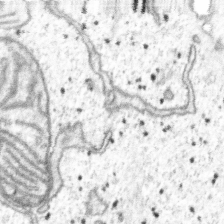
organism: Human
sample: HeLa cells